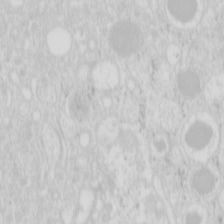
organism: Mouse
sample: Pancreas